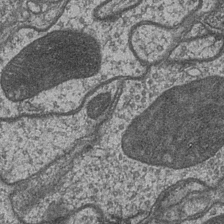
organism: Drosophila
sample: Optic medulla